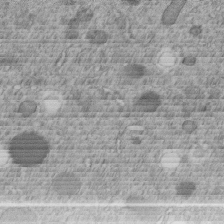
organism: C. elegans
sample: C. elegans embryo early stage